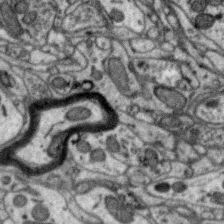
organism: Zebra finch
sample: Brain